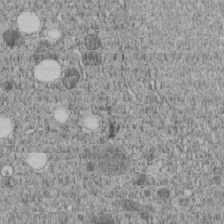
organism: C. elegans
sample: C. elegans embryo early stage